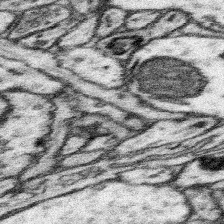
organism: Mouse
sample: Somatosensory cortex neuropil